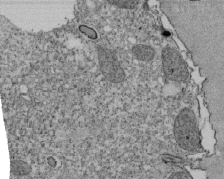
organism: Tetrahymena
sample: Cilia in tetrahymena